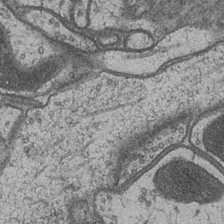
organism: Drosophila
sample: Optic medulla